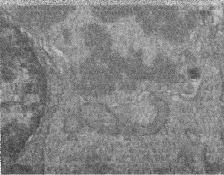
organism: Zebrafish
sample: Cilia; retinal pigment epithelium